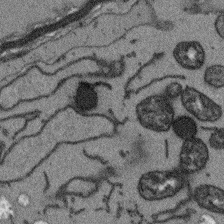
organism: Arabidopsis thaliana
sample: Root tip